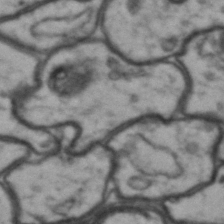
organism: Drosophila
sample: Brain